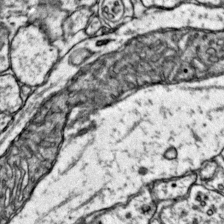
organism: Mouse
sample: Primary visual cortex